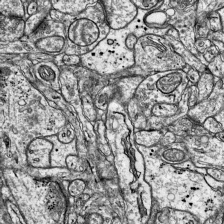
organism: Mouse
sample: Visual Cortex